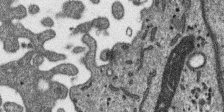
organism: Human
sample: Lung epithelial cells infected with SARS-CoV-2